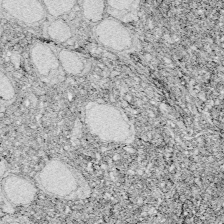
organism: Zebrafish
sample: Whole-Brain